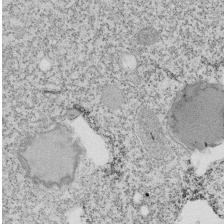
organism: Tetrahymena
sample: Cilia in tetrahymena